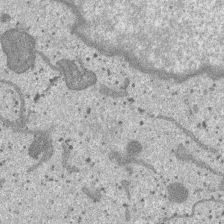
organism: Human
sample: Lung epithelial cells infected with SARS-CoV-2